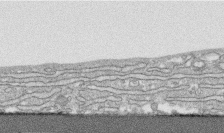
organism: Human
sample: CRL-1474